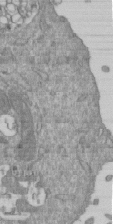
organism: Mouse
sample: ED-1 cell nuclei; centrioles